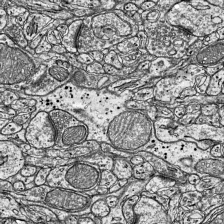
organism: Mouse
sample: Visual Cortex